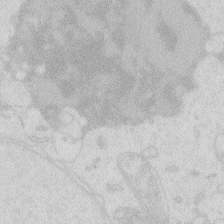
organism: Zebrafish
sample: Macrophage